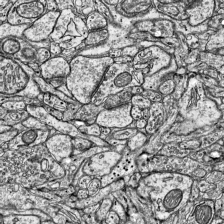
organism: Mouse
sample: Visual Cortex